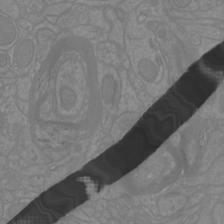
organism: Mouse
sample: Cortical neurons